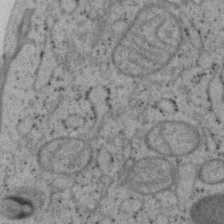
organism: Human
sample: HeLa cells